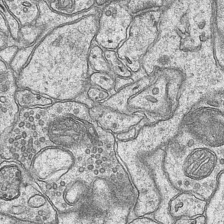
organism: Mouse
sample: CA1 Hippocampus